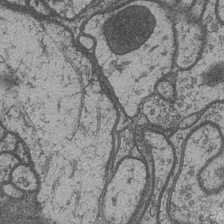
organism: Drosophila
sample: Optic medulla